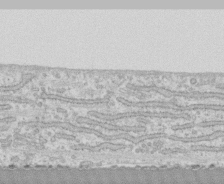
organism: Human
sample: CRL-1474